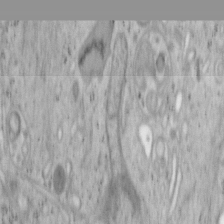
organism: Human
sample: HeLa cells